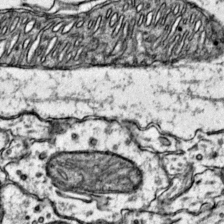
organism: Mouse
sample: Primary visual cortex